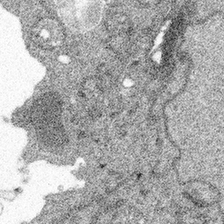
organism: Spongilla lacustris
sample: Multiple